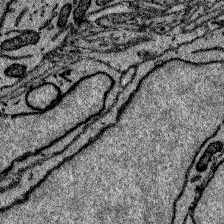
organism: Zebrafish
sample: Larval olfactory bulb